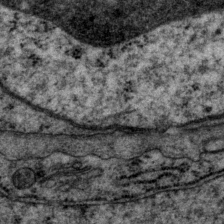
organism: P. pacificus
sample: Pharynx